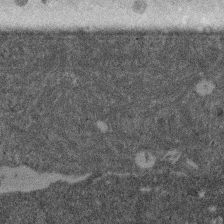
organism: Mouse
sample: Dividing mouse embryo 1 cell stage